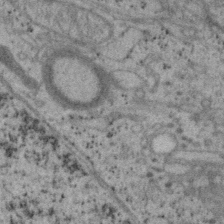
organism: Human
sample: HeLa cells